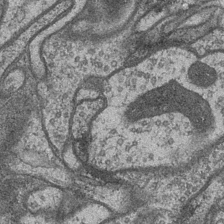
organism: Drosophila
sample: Optic medulla